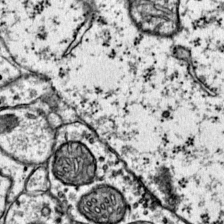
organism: Mouse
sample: Primary visual cortex